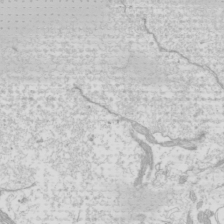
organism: Mouse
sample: Cilia; mouse epididymis